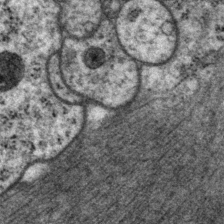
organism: P. pacificus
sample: Pharynx